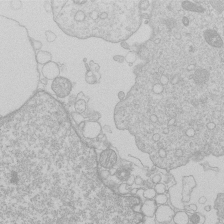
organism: Human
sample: Macrophage cells